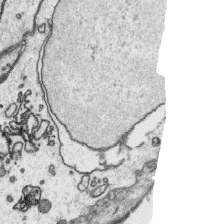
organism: Platynereis dumerilii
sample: Parapodia